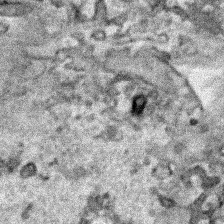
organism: Human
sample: Mitochondria in HCT116 cells